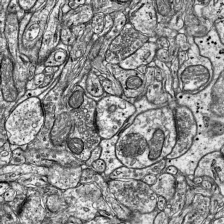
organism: Mouse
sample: Visual Cortex